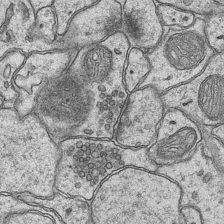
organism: Mouse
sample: CA1 Hippocampus